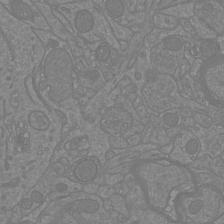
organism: Mouse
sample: Cortical neurons